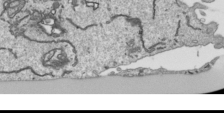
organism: Human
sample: Mitochondria in HCT116 cells